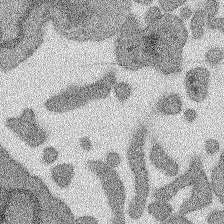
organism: Human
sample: HeLa cells